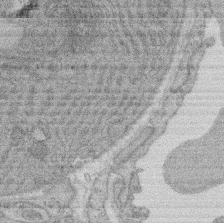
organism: Rat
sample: Salivary granule